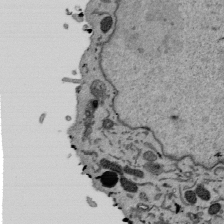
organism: Mouse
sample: ED-1 cell nuclei; centrioles